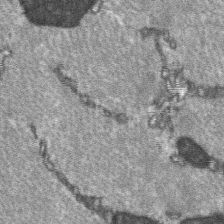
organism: C57BL Mouse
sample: Soleus